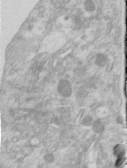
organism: Human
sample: Centriole in RPE cells